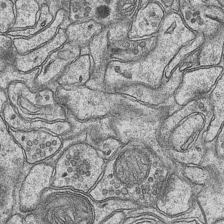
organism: Mouse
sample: CA1 Hippocampus